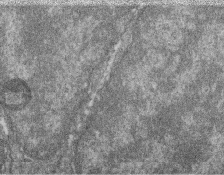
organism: Zebrafish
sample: Cilia; retinal pigment epithelium